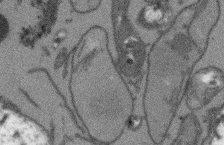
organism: Arabidopsis thaliana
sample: Root tip